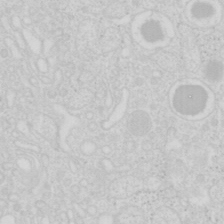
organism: Mouse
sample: Pancreas